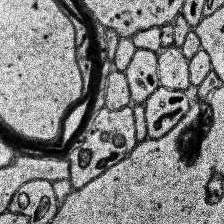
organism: Human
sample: Temporal Lobe